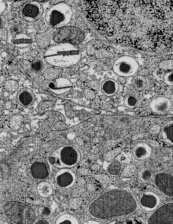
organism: C57BL Mouse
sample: Pancreatic islet